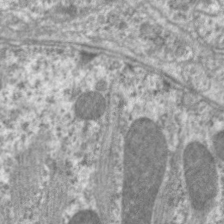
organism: C. elegans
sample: Pharynx